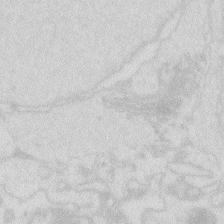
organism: Zebrafish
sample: Macrophage